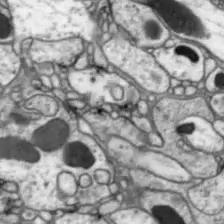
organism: Drosophila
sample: Optic lobe